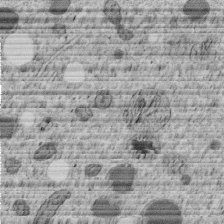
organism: C. elegans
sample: C. elegans embryo early stage